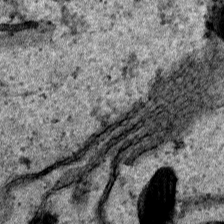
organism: Human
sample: Mitochondria in HCT116 cells